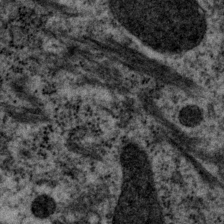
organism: P. pacificus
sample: Pharynx